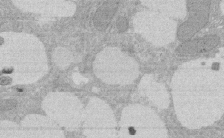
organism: Rat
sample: Salivary granule